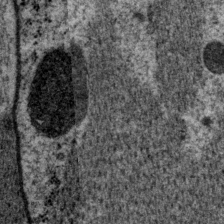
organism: P. pacificus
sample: Pharynx